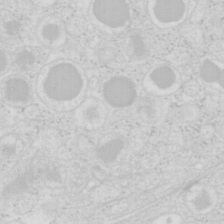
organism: Mouse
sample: Pancreas